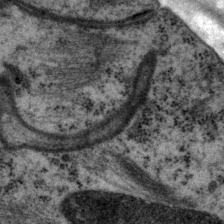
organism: P. pacificus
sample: Pharynx